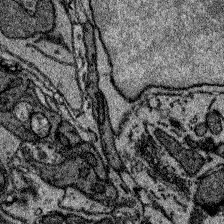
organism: Zebrafish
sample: Larval olfactory bulb